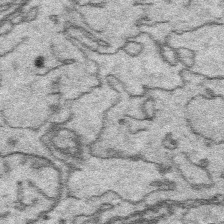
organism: Platynereis dumerilii